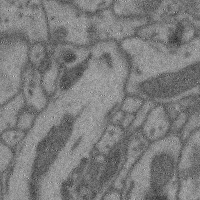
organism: Mouse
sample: Cerebral cortex